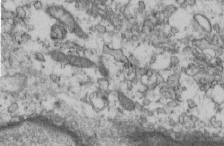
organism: Mouse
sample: Cilia; retinal pigment epithelium